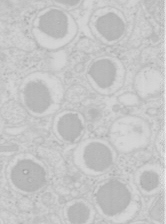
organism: Mouse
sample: Pancreas